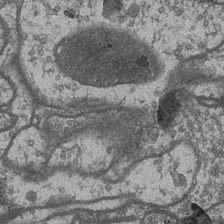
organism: Drosophila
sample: Optic medulla